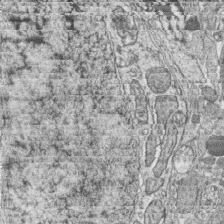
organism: Zebrafish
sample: synaptic ribbons in rod cells and cone cells